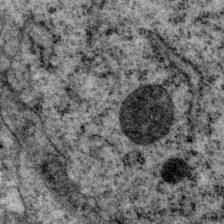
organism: P. pacificus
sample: Pharynx